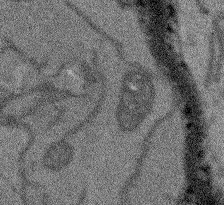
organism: Arabidopsis thaliana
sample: Root tip